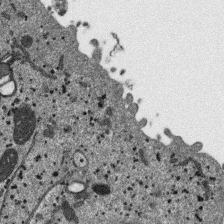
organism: Human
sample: Lung epithelial cells infected with SARS-CoV-2